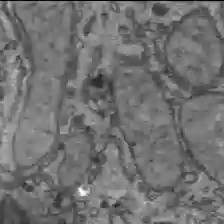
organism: C57BL Mouse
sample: Liver